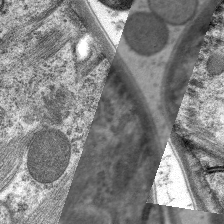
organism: C. elegans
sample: Pharynx